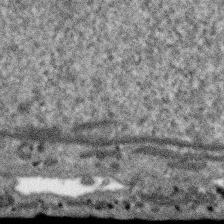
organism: Human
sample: Lung epithelial cells infected with SARS-CoV-2